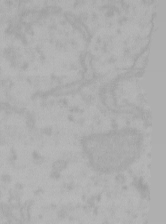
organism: Mouse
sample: Choroid plexus